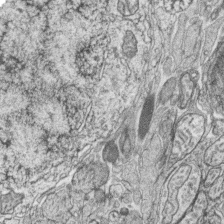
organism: Zebrafish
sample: synaptic ribbons in rod cells and cone cells